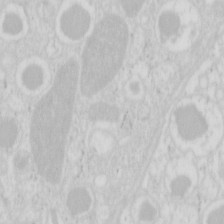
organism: Mouse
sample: Pancreas